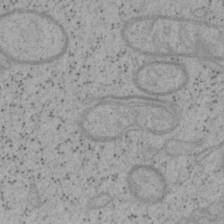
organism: Human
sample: HeLa cells